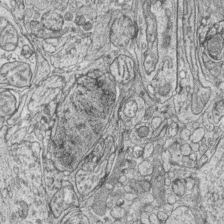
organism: Zebrafish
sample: synaptic ribbons in rod cells and cone cells